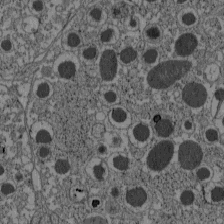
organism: C57BL Mouse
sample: Pancreatic islet